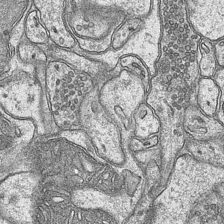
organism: Mouse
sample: CA1 Hippocampus